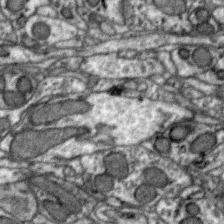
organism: Zebra finch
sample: Brain